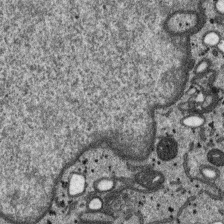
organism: Human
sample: Lung epithelial cells infected with SARS-CoV-2